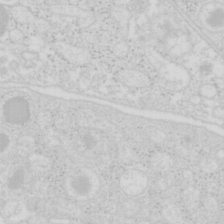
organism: Mouse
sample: Pancreas